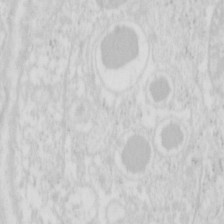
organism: Mouse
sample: Pancreas